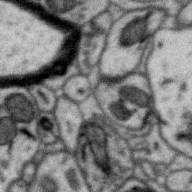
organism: Zebra finch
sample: Brain